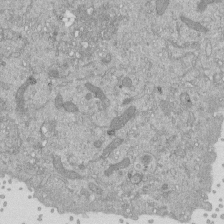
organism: Mouse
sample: ED-1 cell nuclei; centrioles